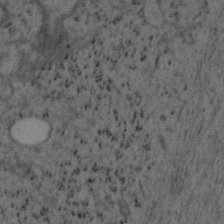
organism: Human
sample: HeLa cells